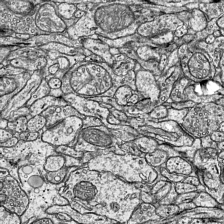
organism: Mouse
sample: Visual Cortex